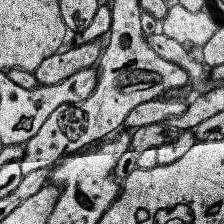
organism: Human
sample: Temporal Lobe